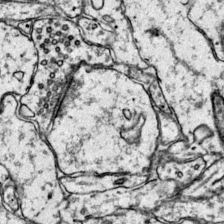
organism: Mouse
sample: Primary visual cortex